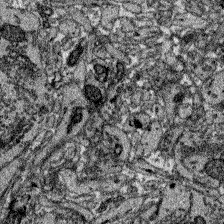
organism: Zebrafish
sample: Larval olfactory bulb